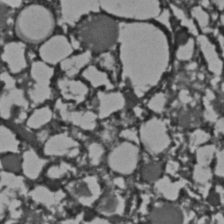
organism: C. elegans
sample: C. elegans embryo